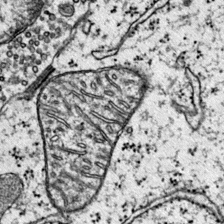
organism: Mouse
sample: Primary visual cortex